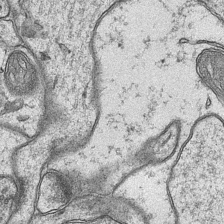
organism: Mouse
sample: CA1 Hippocampus